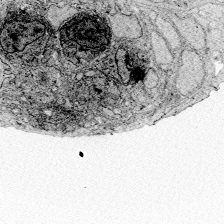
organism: Zebrafish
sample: Whole-Brain